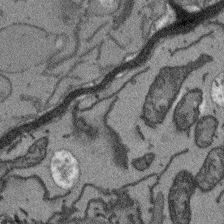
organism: Arabidopsis thaliana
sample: Root tip